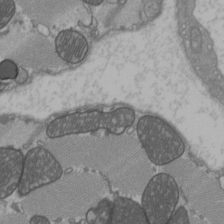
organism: C57BL Mouse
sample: Heart